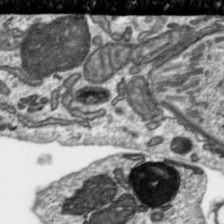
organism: Toxoplasma gondii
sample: Parasites in a vacuole inside a host cell